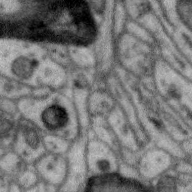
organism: Zebra finch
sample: Brain